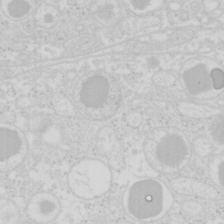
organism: Mouse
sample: Pancreas